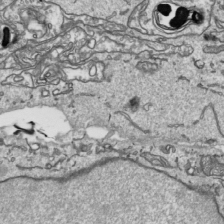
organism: Human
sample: Mitochondria in HCT116 cells